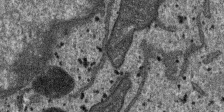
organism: Human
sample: Lung epithelial cells infected with SARS-CoV-2